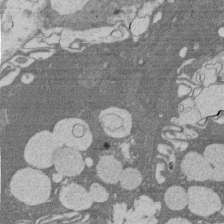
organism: Rat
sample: Salivary granule